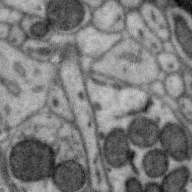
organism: Zebra finch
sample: Brain